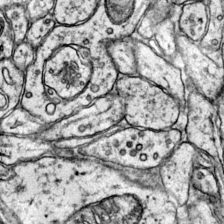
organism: Mouse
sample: Primary visual cortex